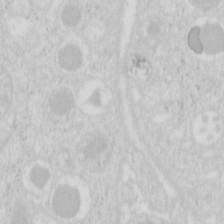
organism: Mouse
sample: Pancreas